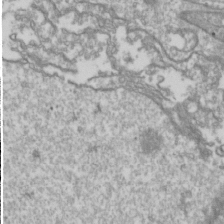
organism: Drosophila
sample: Cell division; meiosis; drosophila spermatocytes